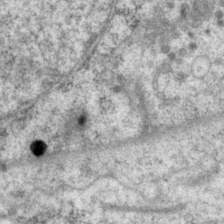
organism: P. pacificus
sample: Pharynx